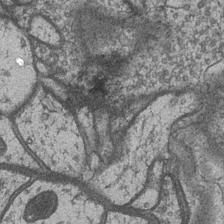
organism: Drosophila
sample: Optic medulla